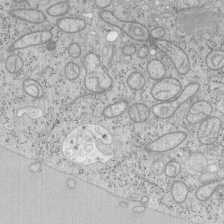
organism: Mouse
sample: OT-I killer T cells with ID8 ovarian cancer cells